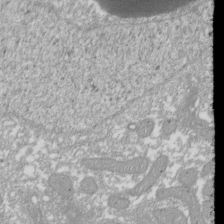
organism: Xenopus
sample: Cilia; centrioles in frog embryo cells